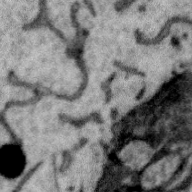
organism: Zebra finch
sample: Brain